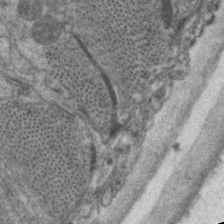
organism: C. elegans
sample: Pharynx